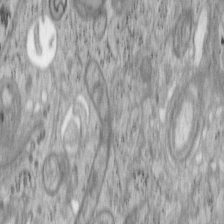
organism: Human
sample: HeLa cells